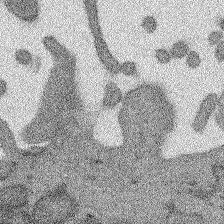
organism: Human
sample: HeLa cells